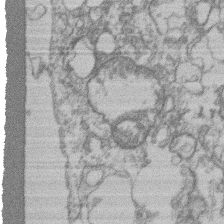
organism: Mouse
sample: T cell stromal cell synapse